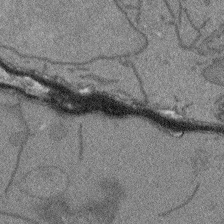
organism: Arabidopsis thaliana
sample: Root tip